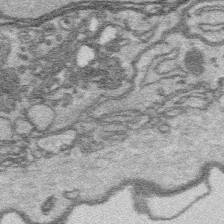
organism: Platynereis dumerilii